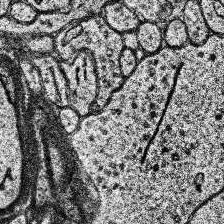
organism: Human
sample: Temporal Lobe